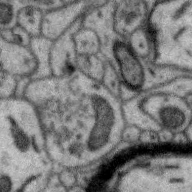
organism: Zebra finch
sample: Brain